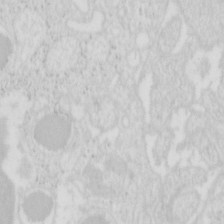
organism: Mouse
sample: Pancreas